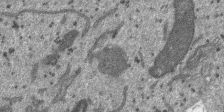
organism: Human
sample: Lung epithelial cells infected with SARS-CoV-2